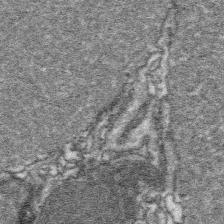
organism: Platynereis dumerilii